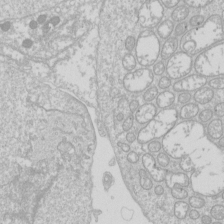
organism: Drosophila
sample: Cell division; meiosis; drosophila spermatocytes